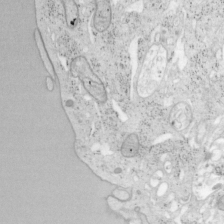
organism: Mouse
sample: OT-I killer T cells with ID8 ovarian cancer cells